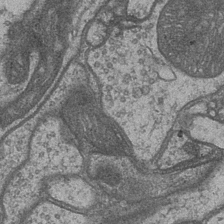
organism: Drosophila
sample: Optic medulla